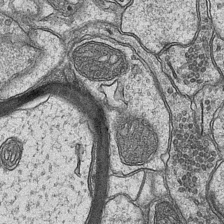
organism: Mouse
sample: CA1 Hippocampus